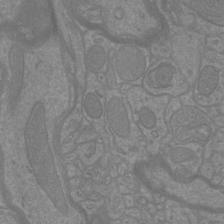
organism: Mouse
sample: Cortical neurons